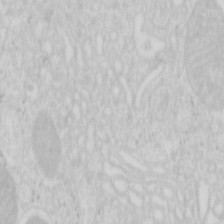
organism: Mouse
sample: Pancreas